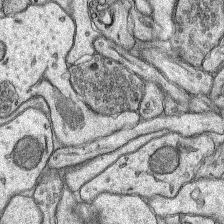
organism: Rat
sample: Hippocampus